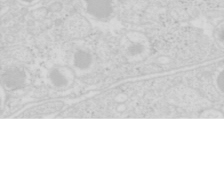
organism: Mouse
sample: Pancreas